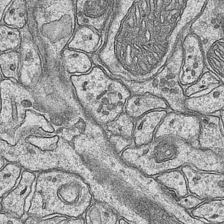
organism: Mouse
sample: CA1 Hippocampus